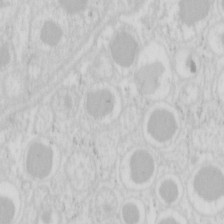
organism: Mouse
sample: Pancreas